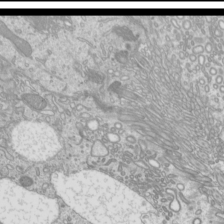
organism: Mouse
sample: Cilia; mouse epididymis